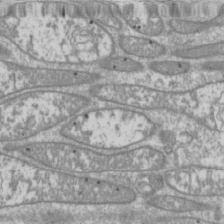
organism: Drosophila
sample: Cell division; meiosis; drosophila spermatocytes